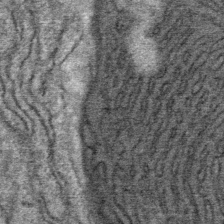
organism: Mouse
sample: Mouse Salivary gland